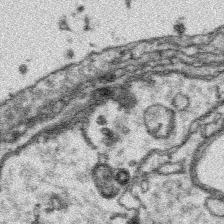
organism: Platynereis dumerilii